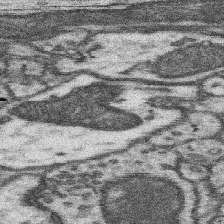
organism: Mouse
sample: Somatosensory cortex neuropil